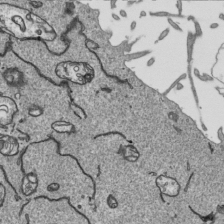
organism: Human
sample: Mitochondria in HCT116 cells